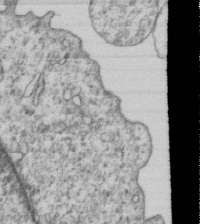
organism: Human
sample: MDA-MB-231 cells